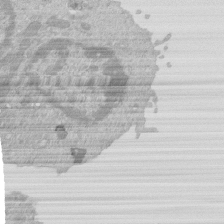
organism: Mouse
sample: Activated Pmel transgenic CD8+ T Cells